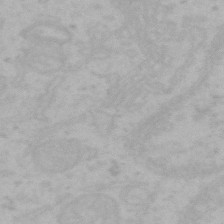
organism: Mouse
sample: Choroid plexus